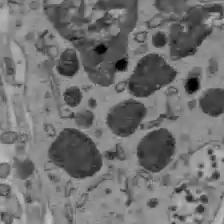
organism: C57BL Mouse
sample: Liver